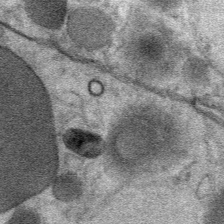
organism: Mouse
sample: Mouse Salivary gland